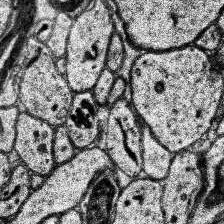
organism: Human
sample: Temporal Lobe